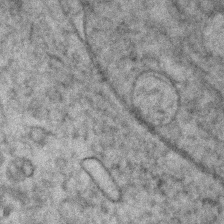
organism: Human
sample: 1205lu cells